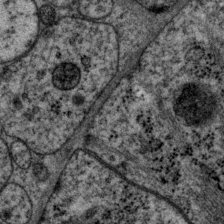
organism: P. pacificus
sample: Pharynx